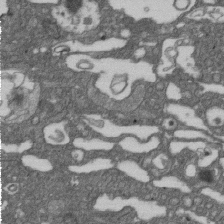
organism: Drosophila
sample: Nephrocyte